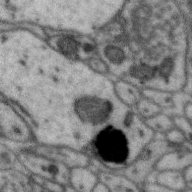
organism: Zebra finch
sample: Brain